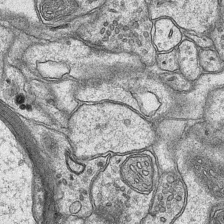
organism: Mouse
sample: CA1 Hippocampus